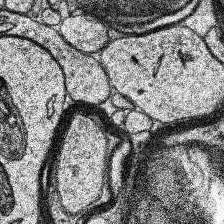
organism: Human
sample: Temporal Lobe